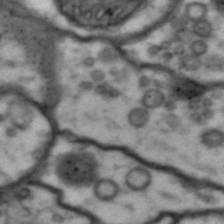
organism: Drosophila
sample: Brain